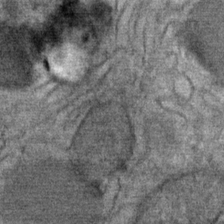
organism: Mouse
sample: Mouse Salivary gland